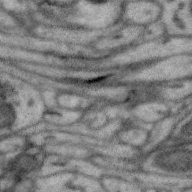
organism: Zebra finch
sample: Brain